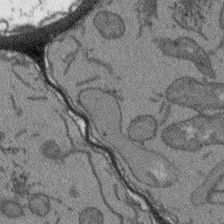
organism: Arabidopsis thaliana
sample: Root tip